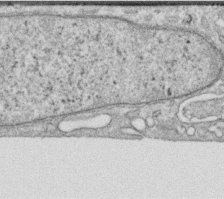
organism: Human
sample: Centriole in RPE cells